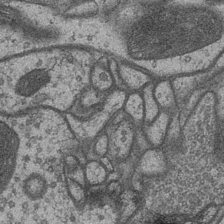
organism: Drosophila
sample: Optic medulla